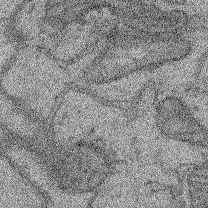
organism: Human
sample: HeLa cells